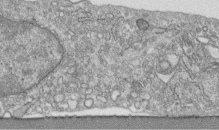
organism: Human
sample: Centriole in fibroblast cells